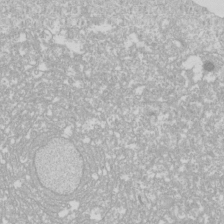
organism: Drosophila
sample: Cell division; meiosis; drosophila spermatocytes